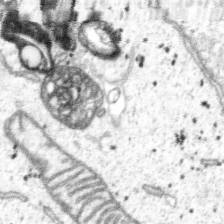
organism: Human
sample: HeLa cells